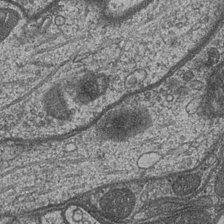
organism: Drosophila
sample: Optic medulla